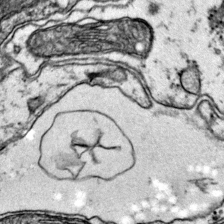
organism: Mouse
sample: Primary visual cortex